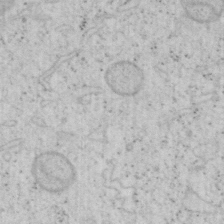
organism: Human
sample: HeLa cells